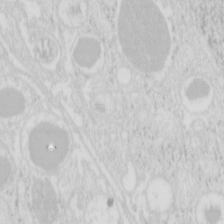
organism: Mouse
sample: Pancreas